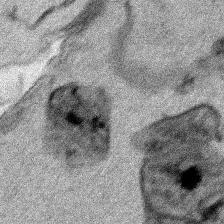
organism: Human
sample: Mitochondria in HCT116 cells